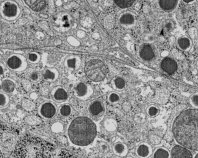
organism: C57BL Mouse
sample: Pancreatic islet